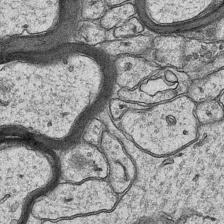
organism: Mouse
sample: CA1 Hippocampus